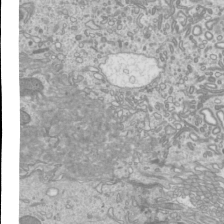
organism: Mouse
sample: Cilia; mouse epididymis